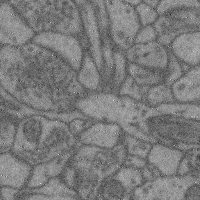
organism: Mouse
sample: Cerebral cortex